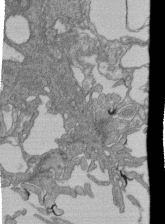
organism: Human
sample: Retinal organoid Rod and Cone cells